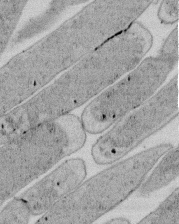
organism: E. coli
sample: Bacterial nucleoid